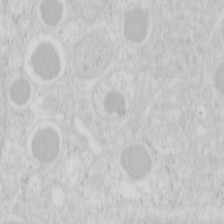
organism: Mouse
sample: Pancreas